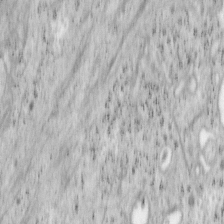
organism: Human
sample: HeLa cells